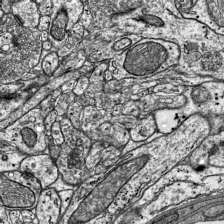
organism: Mouse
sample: Visual Cortex